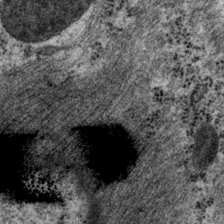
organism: P. pacificus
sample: Pharynx